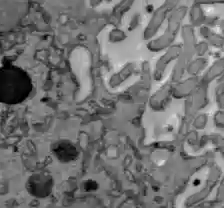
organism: C57BL Mouse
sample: Liver